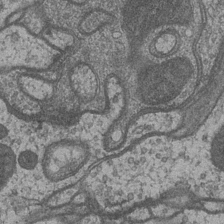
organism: Drosophila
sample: Optic medulla